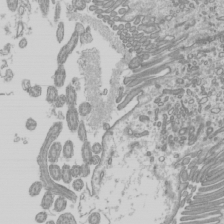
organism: Mouse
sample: Cilia; mouse epididymis